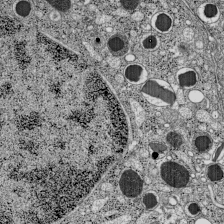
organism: C57BL Mouse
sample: Pancreatic islet